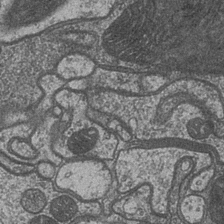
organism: Drosophila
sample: Optic medulla